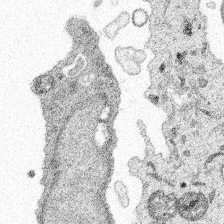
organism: Spongilla lacustris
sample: Multiple